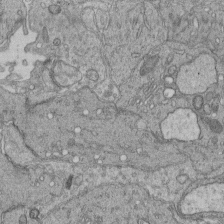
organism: Human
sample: Retinal organoid Rod and Cone cells